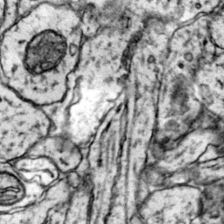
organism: Mouse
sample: Primary visual cortex